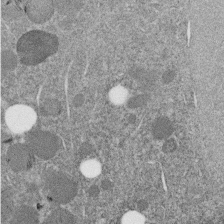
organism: C. elegans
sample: C. elegans embryo early stage